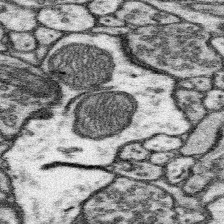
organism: Mouse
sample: Somatosensory cortex neuropil